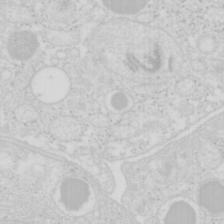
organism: Mouse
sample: Pancreas